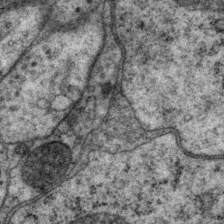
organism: P. pacificus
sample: Pharynx